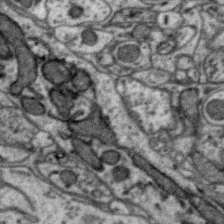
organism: Zebra finch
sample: Brain